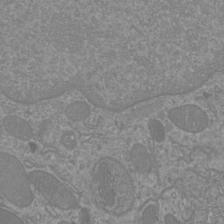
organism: Mouse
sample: Cortical neurons